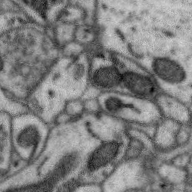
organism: Zebra finch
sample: Brain